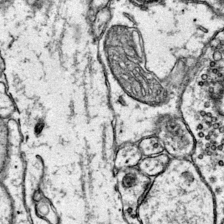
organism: Mouse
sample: Primary visual cortex